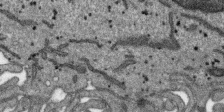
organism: Human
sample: Lung epithelial cells, uninfected (mock) control